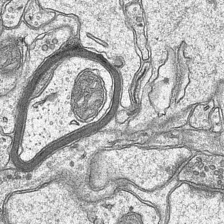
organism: Mouse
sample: CA1 Hippocampus